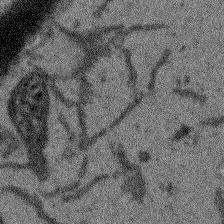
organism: Arabidopsis thaliana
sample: Root tip